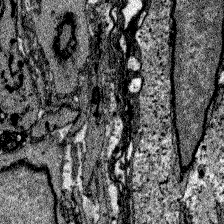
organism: Zebrafish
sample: Larval olfactory bulb